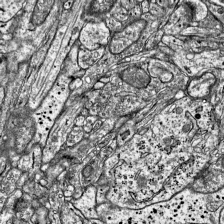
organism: Mouse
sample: Visual Cortex